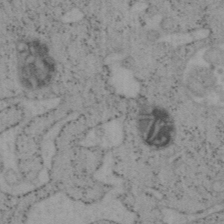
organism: Mouse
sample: OT-I killer T cells with ID8 ovarian cancer cells